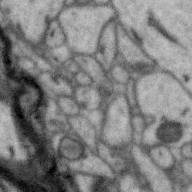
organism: Zebra finch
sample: Brain